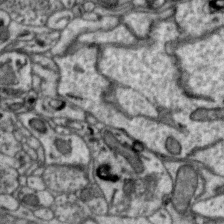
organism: Zebra finch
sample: Brain